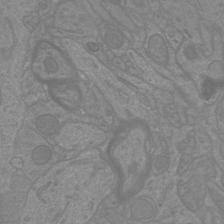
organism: Mouse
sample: Cortical neurons